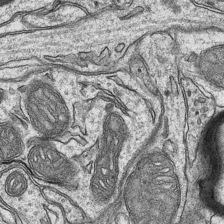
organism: Mouse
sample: CA1 Hippocampus